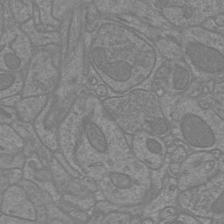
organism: Mouse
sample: Cortical neurons